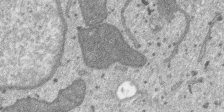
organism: Human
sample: Lung epithelial cells infected with SARS-CoV-2